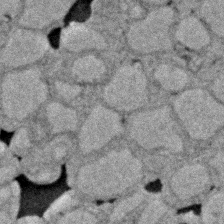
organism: Zebrafish